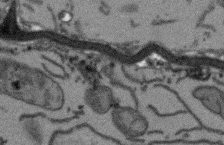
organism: Arabidopsis thaliana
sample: Root tip